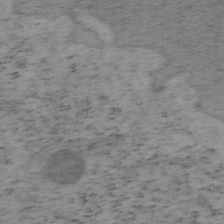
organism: Mouse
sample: OT-I killer T cells with ID8 ovarian cancer cells